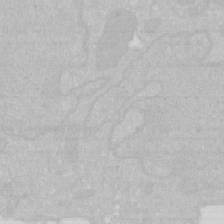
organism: Human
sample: HIV infected U937 cells